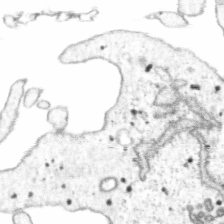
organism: Human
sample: HeLa cells